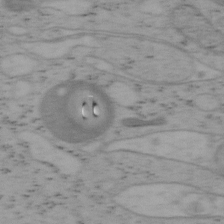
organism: Mouse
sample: OT-I killer T cells with ID8 ovarian cancer cells